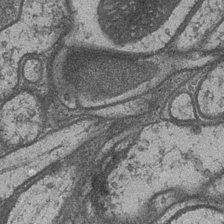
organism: Drosophila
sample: Optic medulla